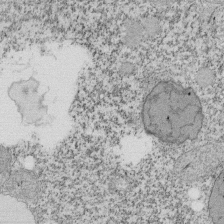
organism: Tetrahymena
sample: Cilia in tetrahymena